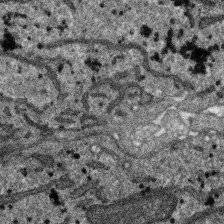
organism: Human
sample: Lung epithelial cells infected with SARS-CoV-2